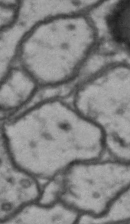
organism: Drosophila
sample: Brain